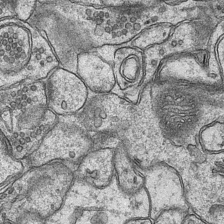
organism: Mouse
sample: CA1 Hippocampus